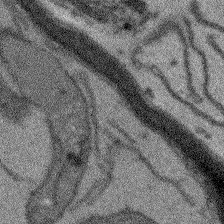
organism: Arabidopsis thaliana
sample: Root tip